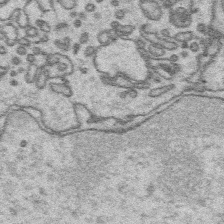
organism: Platynereis dumerilii